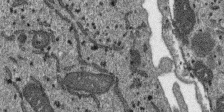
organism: Human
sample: Lung epithelial cells infected with SARS-CoV-2